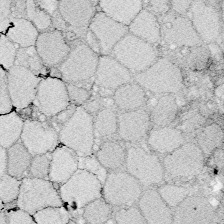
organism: Zebrafish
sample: Whole-Brain